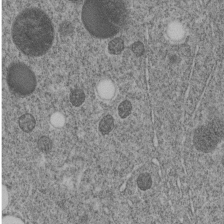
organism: C. elegans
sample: C. elegans embryo early stage